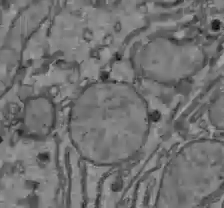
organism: C57BL Mouse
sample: Liver